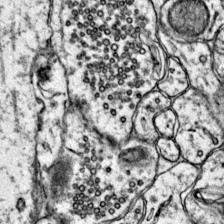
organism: Mouse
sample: Primary visual cortex